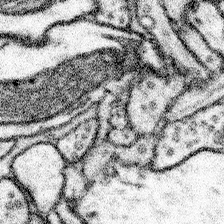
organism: Mouse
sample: Somatosensory cortex neuropil